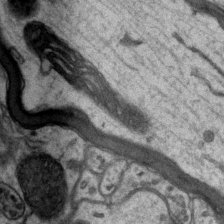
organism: Mouse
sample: CA1 Hippocampus